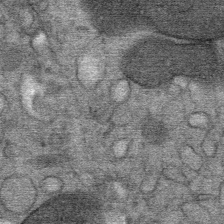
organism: Mouse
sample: Mouse Salivary gland